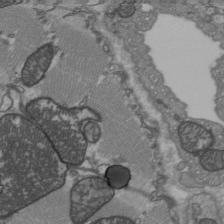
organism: C57BL Mouse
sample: Heart